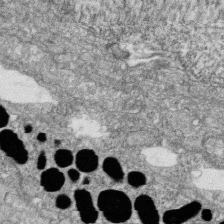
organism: Zebrafish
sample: Cilia; retinal pigment epithelium